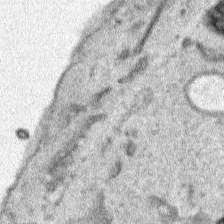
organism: Human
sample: Mitochondria in HCT116 cells